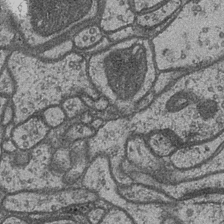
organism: Drosophila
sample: Optic medulla